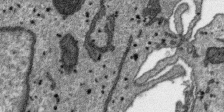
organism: Human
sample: Lung epithelial cells, uninfected (mock) control